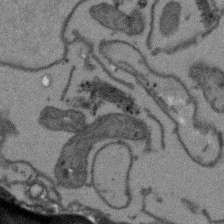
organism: Arabidopsis thaliana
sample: Root tip